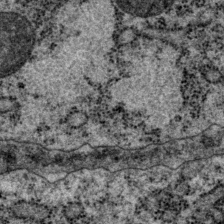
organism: P. pacificus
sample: Pharynx